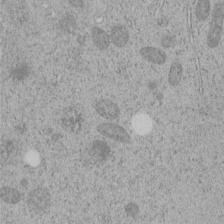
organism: C. elegans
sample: C. elegans embryo early stage